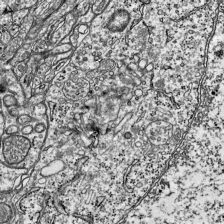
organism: Mouse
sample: Visual Cortex